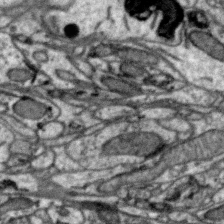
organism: Zebra finch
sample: Brain